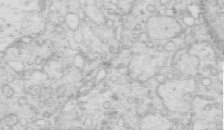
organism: Mouse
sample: Multiciliated cells